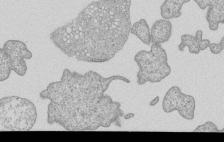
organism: Human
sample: MDA-MB-231 cells